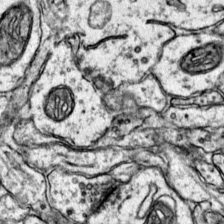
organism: Mouse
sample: Primary visual cortex